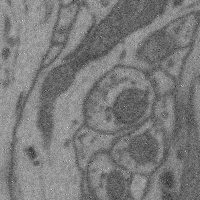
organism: Mouse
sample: Cerebral cortex